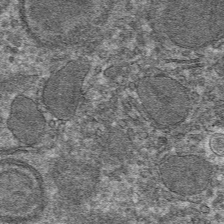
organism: Mouse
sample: Mouse hepatocytes